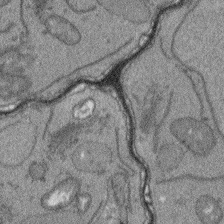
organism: Arabidopsis thaliana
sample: Root tip